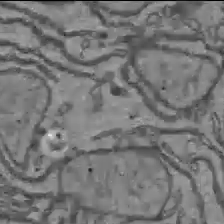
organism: C57BL Mouse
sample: Liver